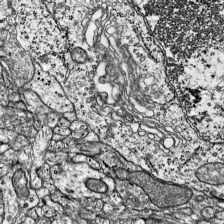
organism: Mouse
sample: Visual Cortex